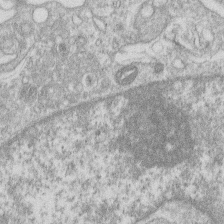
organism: Human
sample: Macrophage cells